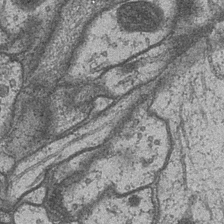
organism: Drosophila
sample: Optic medulla